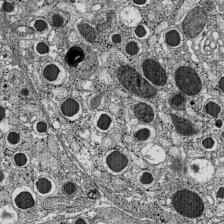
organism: C57BL Mouse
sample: Pancreatic islet